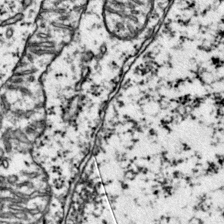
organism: Mouse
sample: Primary visual cortex